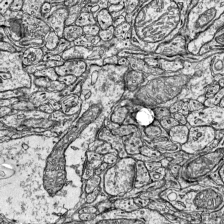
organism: Mouse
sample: Visual Cortex